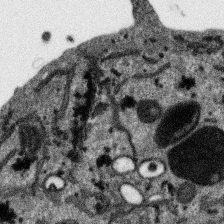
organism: Human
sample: Lung epithelial cells infected with SARS-CoV-2